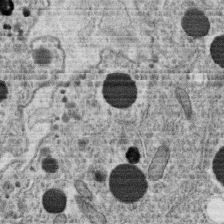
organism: C. elegans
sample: C. elegans oocyte; sperm cells